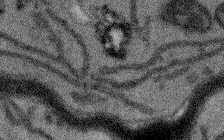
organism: Arabidopsis thaliana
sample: Root tip